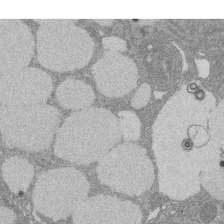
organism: Rat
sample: Salivary granule